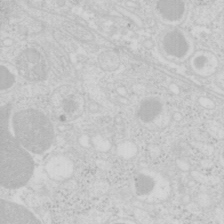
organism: Mouse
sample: Pancreas